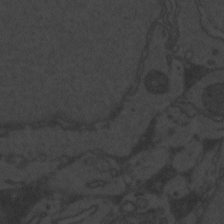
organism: Zebrafish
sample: Macrophage infected with Toxoplasma gondii